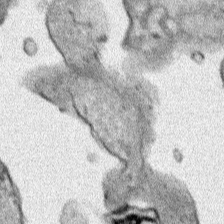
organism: Human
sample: Mitochondria in HCT116 cells